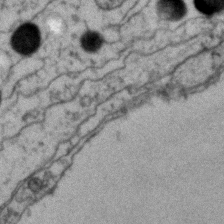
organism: Zebrafish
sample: Zebrafish embryo